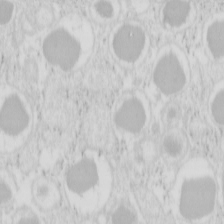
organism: Mouse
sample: Pancreas